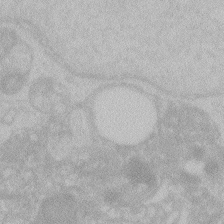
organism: Zebrafish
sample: Macrophage infected with Toxoplasma gondii